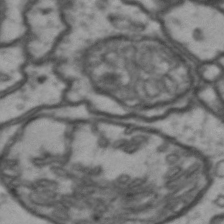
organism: Drosophila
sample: Brain